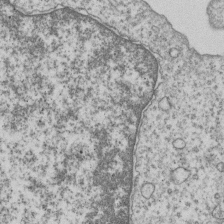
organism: Human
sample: MDA-MB-231 cells